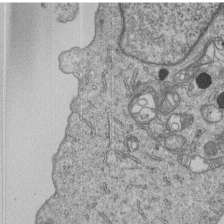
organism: Human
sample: MDA-MB-231 cells